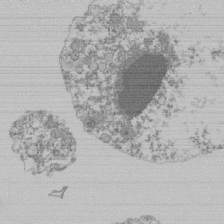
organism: Mouse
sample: Activated Pmel transgenic CD8+ T Cells